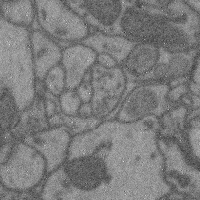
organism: Mouse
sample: Cerebral cortex